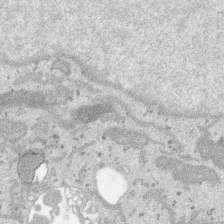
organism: Human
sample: Lung epithelial cells infected with SARS-CoV-2